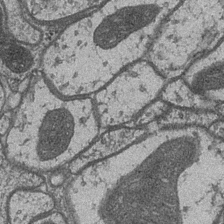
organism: Drosophila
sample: Optic medulla